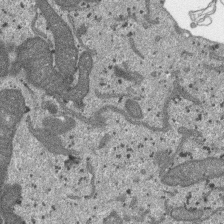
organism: Human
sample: Lung epithelial cells infected with SARS-CoV-2